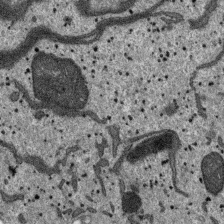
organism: Human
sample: Lung epithelial cells, uninfected (mock) control